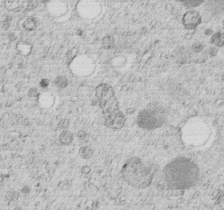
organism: C. elegans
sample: C. elegans embryo early stage